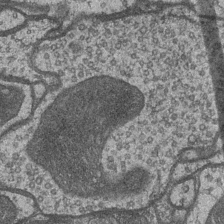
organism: Drosophila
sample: Optic medulla